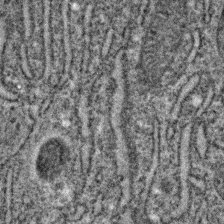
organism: C. elegans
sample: C. elegans embryo